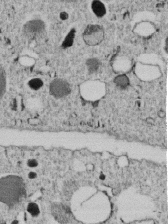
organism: C. elegans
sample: C. elegans embryo early stage